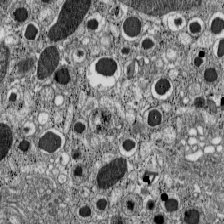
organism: C57BL Mouse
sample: Pancreatic islet